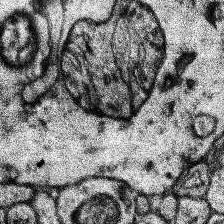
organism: Human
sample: Temporal Lobe